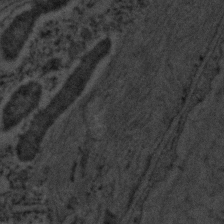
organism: C. elegans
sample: C. elegans embryo